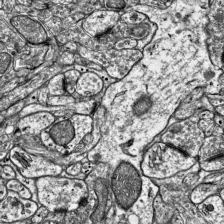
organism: Mouse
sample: Visual Cortex